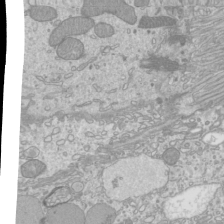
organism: Mouse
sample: Cilia; mouse epididymis